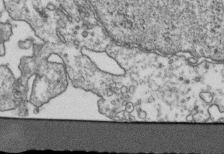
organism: Human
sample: Activated Jurkat CD4+ T cells